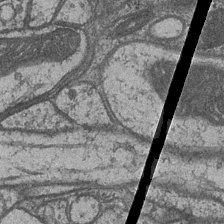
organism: Drosophila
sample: Optic medulla